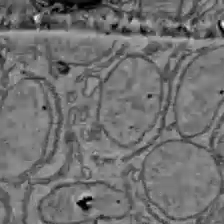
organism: C57BL Mouse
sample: Liver